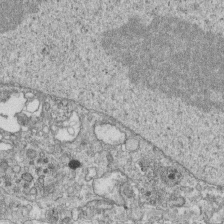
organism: Human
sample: HeLa cell HIV synapse